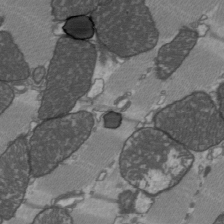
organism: C57BL Mouse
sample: Heart